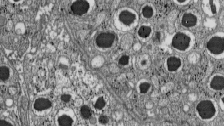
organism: C57BL Mouse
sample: Pancreatic islet